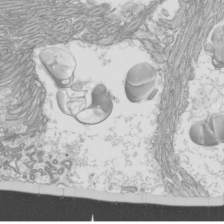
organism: Mouse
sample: Cilia; mouse epididymis